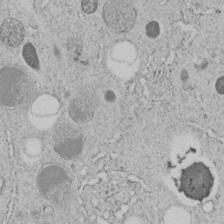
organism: C. elegans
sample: C. elegans embryo early stage